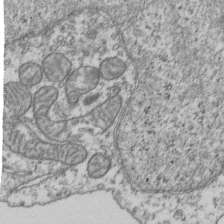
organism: Human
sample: Activated Jurkat CD4+ T cells